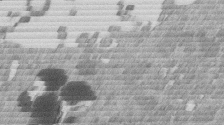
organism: Mouse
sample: Dividing mouse embryo 1 cell stage